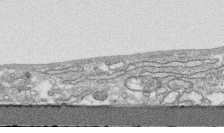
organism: Human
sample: CRL-1474